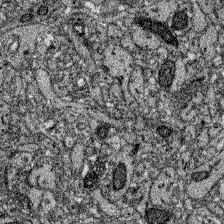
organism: Zebrafish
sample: Larval olfactory bulb